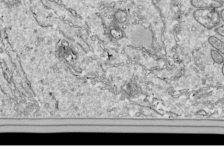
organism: Drosophila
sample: Cell division; meiosis; drosophila spermatocytes